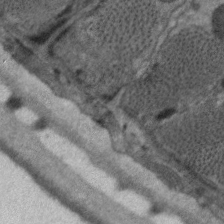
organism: C. elegans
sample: Pharynx